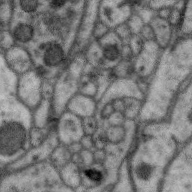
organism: Zebra finch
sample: Brain